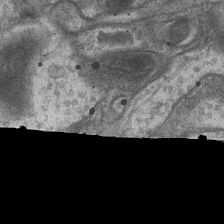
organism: Drosophila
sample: Optic medulla